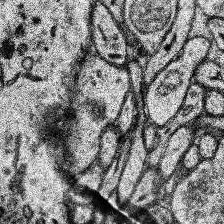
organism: Human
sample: Temporal Lobe